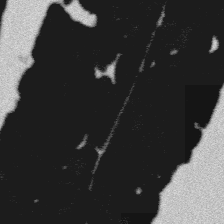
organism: Platynereis dumerilii